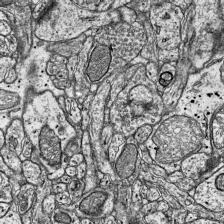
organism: Mouse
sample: Visual Cortex